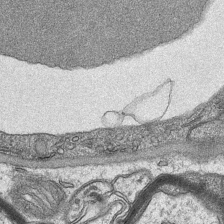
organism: Mouse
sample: CA1 Hippocampus